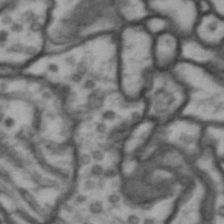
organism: Drosophila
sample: Brain